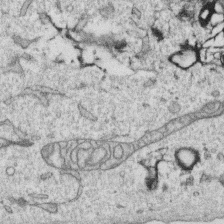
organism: Human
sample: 1205lu cells